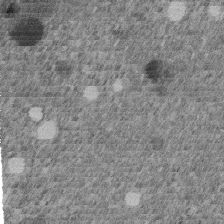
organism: C. elegans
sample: C. elegans embryo early stage